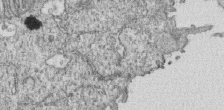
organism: Human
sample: HeLa cell HIV synapse